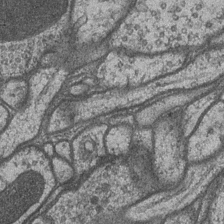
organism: Drosophila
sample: Optic medulla